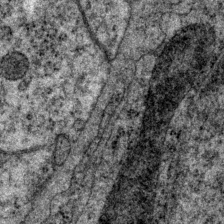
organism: P. pacificus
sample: Pharynx